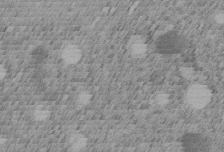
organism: C. elegans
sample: C. elegans embryo early stage